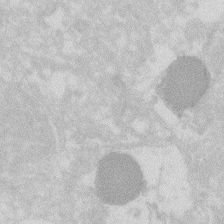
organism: Zebrafish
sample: Macrophage